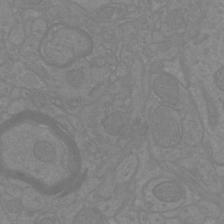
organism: Mouse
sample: Cortical neurons